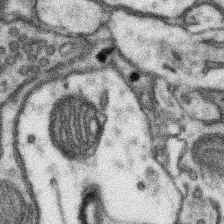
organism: Mouse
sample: Somatosensory cortex neuropil